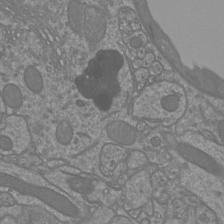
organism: Mouse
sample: Cortical neurons